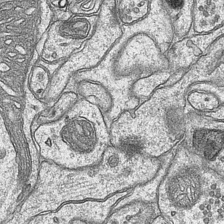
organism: Mouse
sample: CA1 Hippocampus